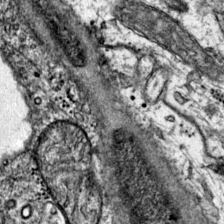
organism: Mouse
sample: Primary visual cortex